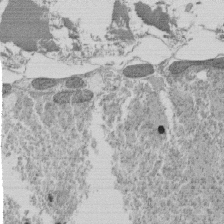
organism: Tetrahymena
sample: Cilia in tetrahymena